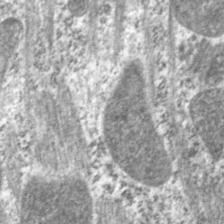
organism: C. elegans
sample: Pharynx